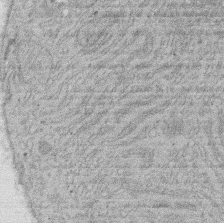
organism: Rat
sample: Salivary granule